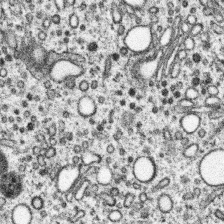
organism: Human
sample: HeLa cells